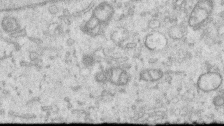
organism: Human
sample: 1205lu cells